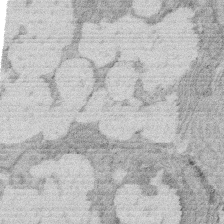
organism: Rat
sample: Salivary granule